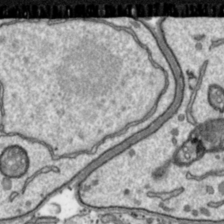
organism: Toxoplasma gondii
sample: Parasites in a vacuole inside a host cell